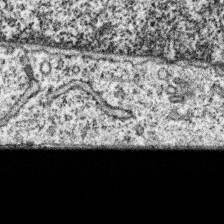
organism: Human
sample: HeLa cells